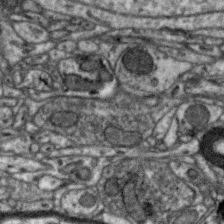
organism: Zebra finch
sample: Brain